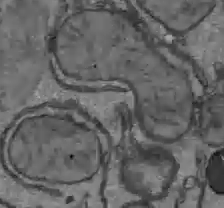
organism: C57BL Mouse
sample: Liver